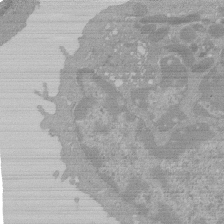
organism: Mouse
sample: Activated Pmel transgenic CD8+ T Cells